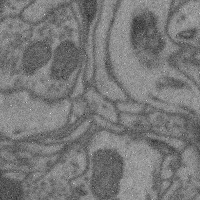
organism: Mouse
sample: Cerebral cortex